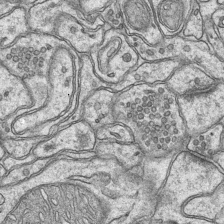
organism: Mouse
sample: CA1 Hippocampus